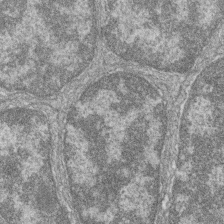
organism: Zebrafish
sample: Cilia; retinal pigment epithelium